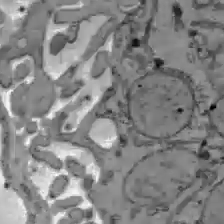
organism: C57BL Mouse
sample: Liver